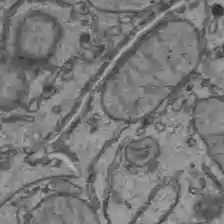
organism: C57BL Mouse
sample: Liver